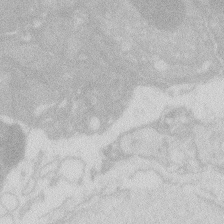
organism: Zebrafish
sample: Macrophage